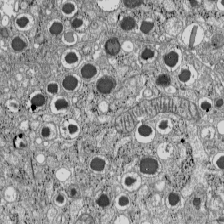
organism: C57BL Mouse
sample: Pancreatic islet